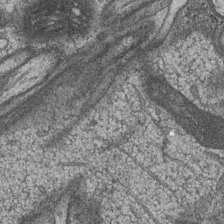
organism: Drosophila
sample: Optic medulla